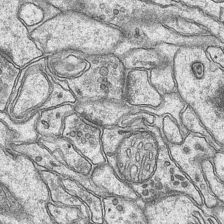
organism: Mouse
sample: CA1 Hippocampus